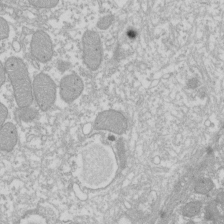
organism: Xenopus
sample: Cilia; centrioles in frog embryo cells